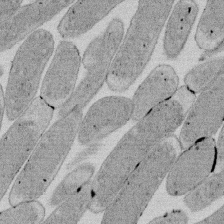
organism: E. coli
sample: Bacterial nucleoid